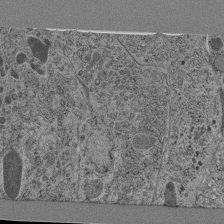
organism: C. elegans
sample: C. elegans pharynx